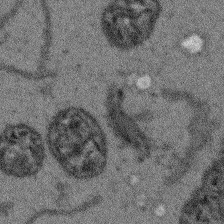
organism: Arabidopsis thaliana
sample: Root tip